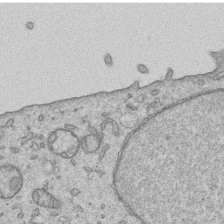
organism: Human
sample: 1205lu cells